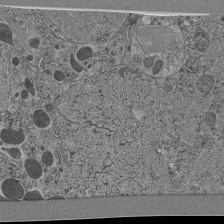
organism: C. elegans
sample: C. elegans pharynx